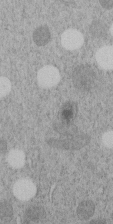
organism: C. elegans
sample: C. elegans embryo early stage